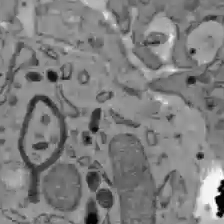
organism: C57BL Mouse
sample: Liver